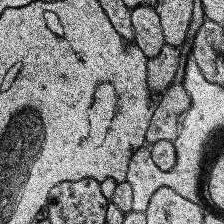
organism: Human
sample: Temporal Lobe